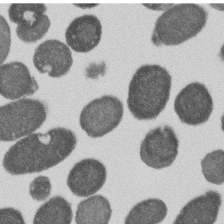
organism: E. coli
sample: Bacterial nucleoid